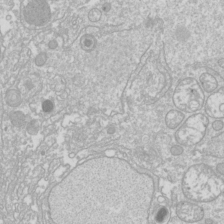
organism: Drosophila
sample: Cell division; meiosis; drosophila spermatocytes